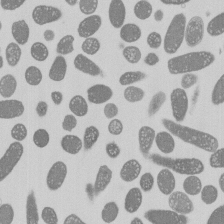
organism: E. coli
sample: Bacterial nucleoid